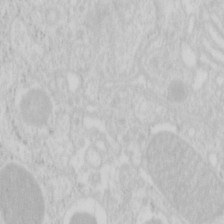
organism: Mouse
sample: Pancreas